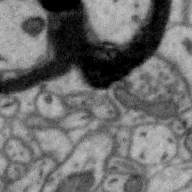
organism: Zebra finch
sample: Brain